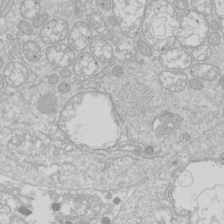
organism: Drosophila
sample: Cell division; meiosis; drosophila spermatocytes